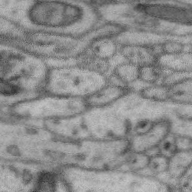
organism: Zebra finch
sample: Brain